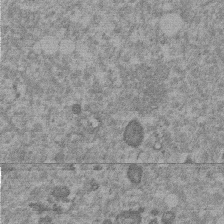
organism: Mouse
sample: Dividing mouse embryo 1 cell stage